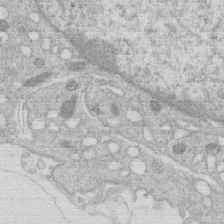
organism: Human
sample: Macrophage cells